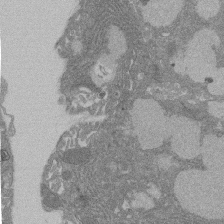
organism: Rat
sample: Salivary granule